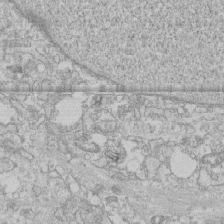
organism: Human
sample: CRL-1474